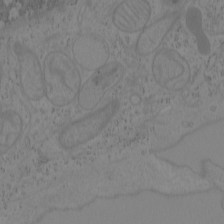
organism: Human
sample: HeLa cells